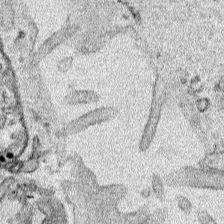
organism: Human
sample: Mitochondria in HCT116 cells